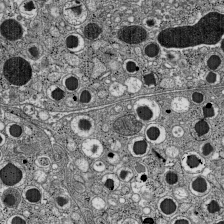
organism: C57BL Mouse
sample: Pancreatic islet